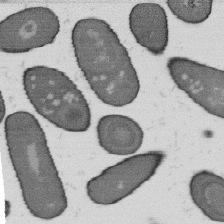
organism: B. subtilis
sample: Bacterial spore